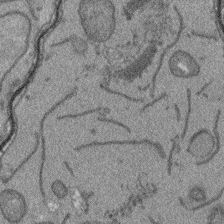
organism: Arabidopsis thaliana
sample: Root tip